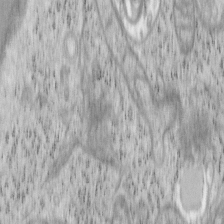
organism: Human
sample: HeLa cells